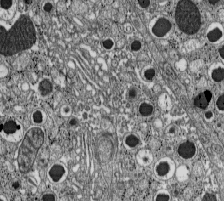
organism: C57BL Mouse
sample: Pancreatic islet